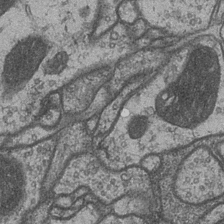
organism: Drosophila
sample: Optic medulla